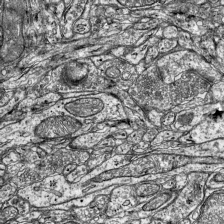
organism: Mouse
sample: Visual Cortex